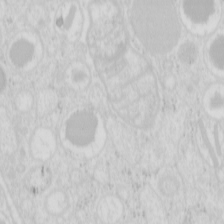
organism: Mouse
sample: Pancreas